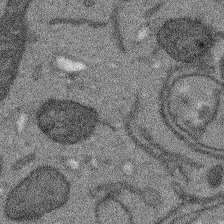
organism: Arabidopsis thaliana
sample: Root tip